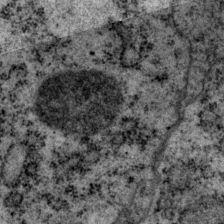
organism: P. pacificus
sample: Pharynx